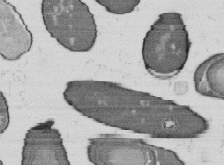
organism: B. subtilis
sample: Bacterial spore